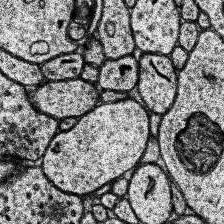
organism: Human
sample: Temporal Lobe